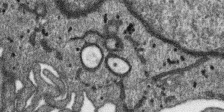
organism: Human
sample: Lung epithelial cells infected with SARS-CoV-2